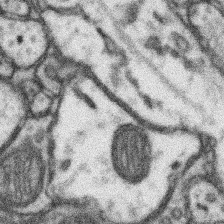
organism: Mouse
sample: Somatosensory cortex neuropil